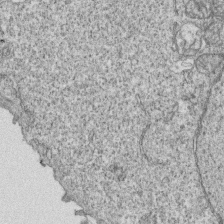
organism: Human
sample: HeLa cell HIV synapse